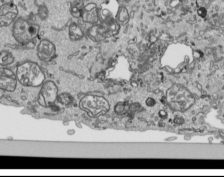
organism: Human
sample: Mitochondria in HCT116 cells